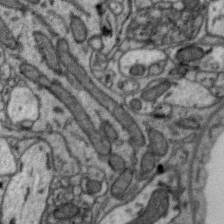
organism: Zebra finch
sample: Brain